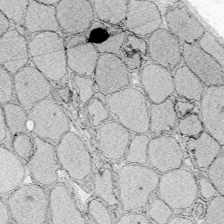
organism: Zebrafish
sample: Whole-Brain